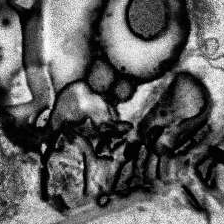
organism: Human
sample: Temporal Lobe